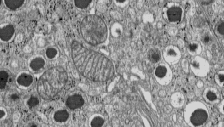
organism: C57BL Mouse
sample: Pancreatic islet